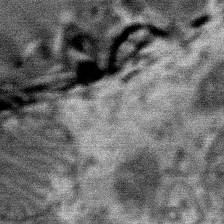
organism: Mouse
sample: Mouse Salivary gland